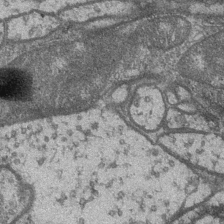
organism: Drosophila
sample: Optic medulla